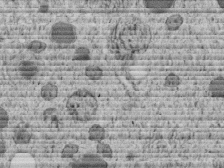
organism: C. elegans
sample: C. elegans embryo early stage